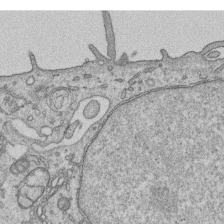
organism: Human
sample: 1205lu cells